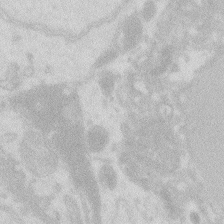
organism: Zebrafish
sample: Macrophage